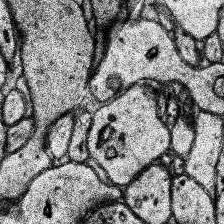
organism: Human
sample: Temporal Lobe